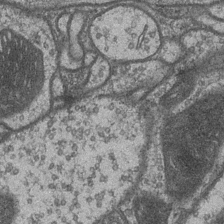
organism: Drosophila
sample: Optic medulla